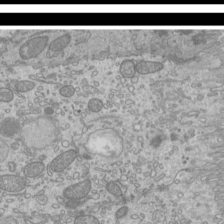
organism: Mouse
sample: Cilia; mouse epididymis